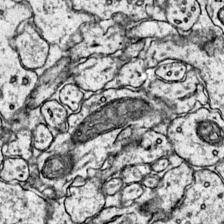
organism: Mouse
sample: Primary visual cortex